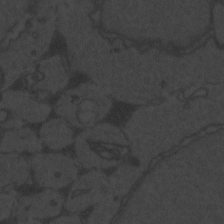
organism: Zebrafish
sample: Macrophage infected with Toxoplasma gondii